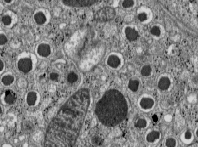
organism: C57BL Mouse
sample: Pancreatic islet